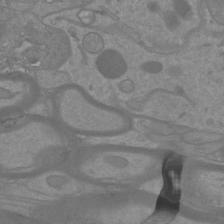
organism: Mouse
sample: Cortical neurons